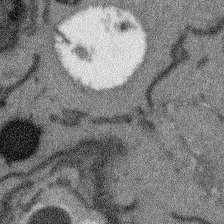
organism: Arabidopsis thaliana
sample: Root tip